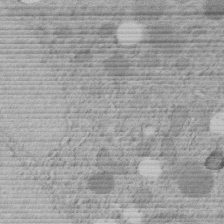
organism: C. elegans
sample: C. elegans embryo early stage